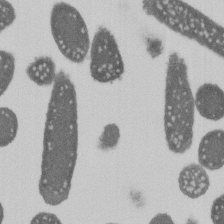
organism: E. coli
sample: Bacterial nucleoid